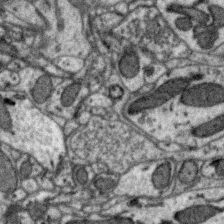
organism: Zebra finch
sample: Brain